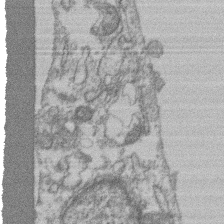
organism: Mouse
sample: T cell stromal cell synapse